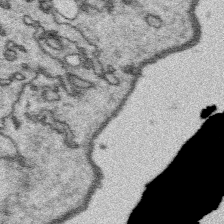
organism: Platynereis dumerilii